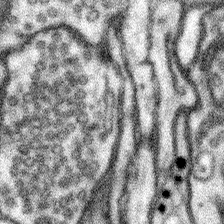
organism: Mouse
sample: Somatosensory cortex neuropil